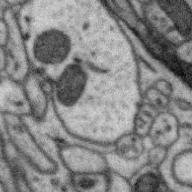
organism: Zebra finch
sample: Brain